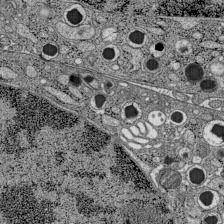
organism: C57BL Mouse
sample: Pancreatic islet